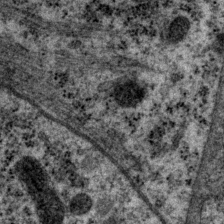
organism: P. pacificus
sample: Pharynx